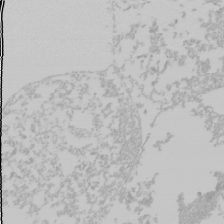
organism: Mouse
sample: Cancer cell death in ED-1 cells